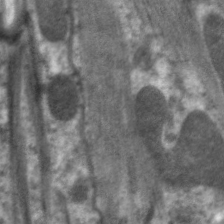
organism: C. elegans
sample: Pharynx